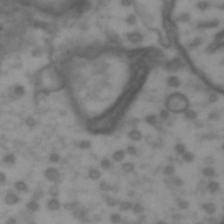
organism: Drosophila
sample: Brain